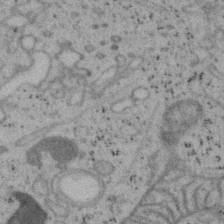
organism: Human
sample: HeLa cells